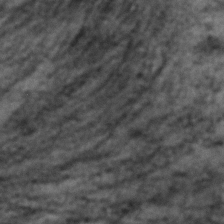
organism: C. elegans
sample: C. elegans embryo